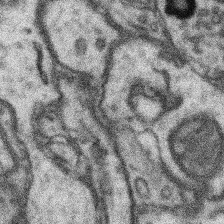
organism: Mouse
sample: Somatosensory cortex neuropil